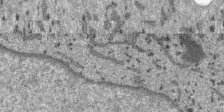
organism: Human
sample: Lung epithelial cells infected with SARS-CoV-2